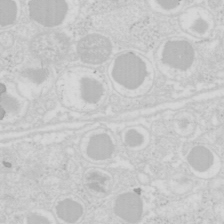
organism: Mouse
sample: Pancreas